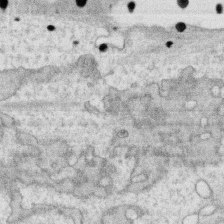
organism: Human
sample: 1205lu cells